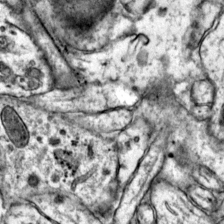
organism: Mouse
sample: Primary visual cortex